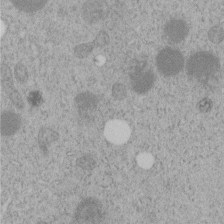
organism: C. elegans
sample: C. elegans embryo early stage